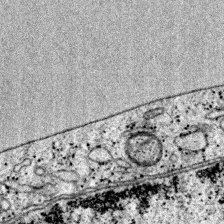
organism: Human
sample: HeLa cells